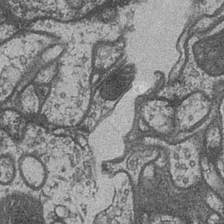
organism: Drosophila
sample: Optic medulla